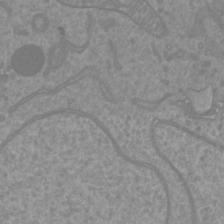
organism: Mouse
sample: Cortical neurons